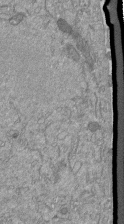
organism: Mouse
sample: ED-1 cell nuclei; centrioles